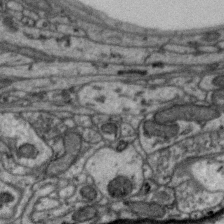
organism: Zebra finch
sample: Brain